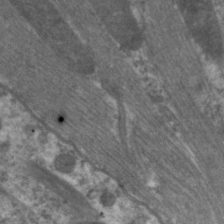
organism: C. elegans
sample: Pharynx